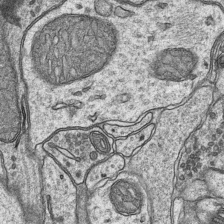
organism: Mouse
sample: CA1 Hippocampus